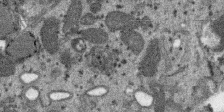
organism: Human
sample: Lung epithelial cells infected with SARS-CoV-2